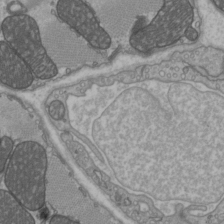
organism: C57BL Mouse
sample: Heart